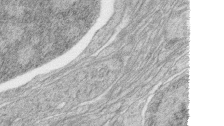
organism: Zebrafish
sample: synaptic ribbons in rod cells and cone cells